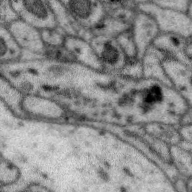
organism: Zebra finch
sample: Brain